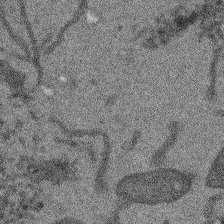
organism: Arabidopsis thaliana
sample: Root tip